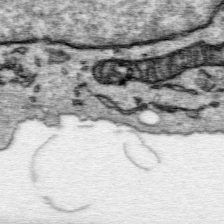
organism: Human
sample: HeLa cells